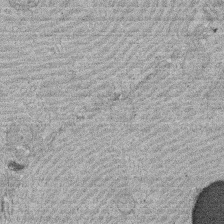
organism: Rat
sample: Salivary granule